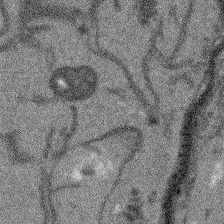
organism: Arabidopsis thaliana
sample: Root tip